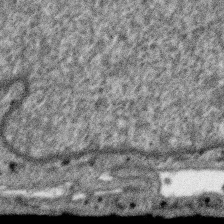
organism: Human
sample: Lung epithelial cells infected with SARS-CoV-2